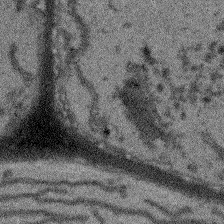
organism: Arabidopsis thaliana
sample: Root tip